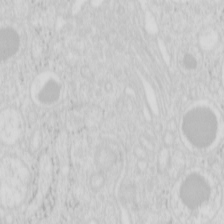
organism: Mouse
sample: Pancreas